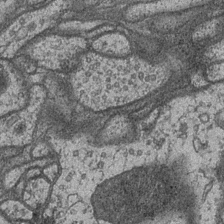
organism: Drosophila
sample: Optic medulla